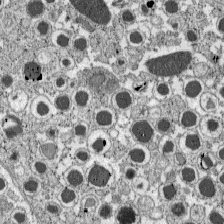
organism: C57BL Mouse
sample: Pancreatic islet